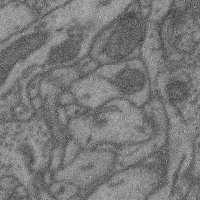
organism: Mouse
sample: Cerebral cortex